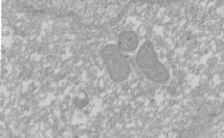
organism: Xenopus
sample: Cilia; centrioles in frog embryo cells